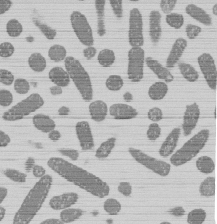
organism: E. coli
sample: Bacterial nucleoid